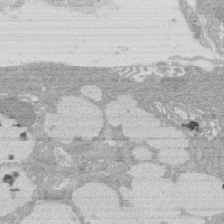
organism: Rat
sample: Salivary granule